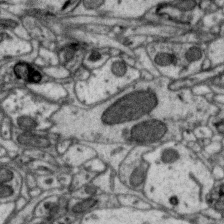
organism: Zebra finch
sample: Brain